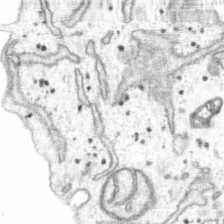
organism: Human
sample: HeLa cells